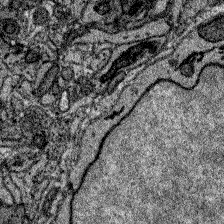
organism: Zebrafish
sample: Larval olfactory bulb